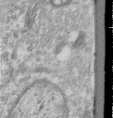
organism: Human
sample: Centriole in RPE cells